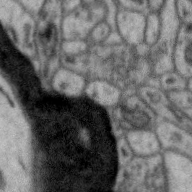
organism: Zebra finch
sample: Brain